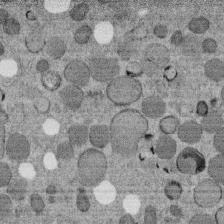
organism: C. elegans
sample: C. elegans embryo early stage